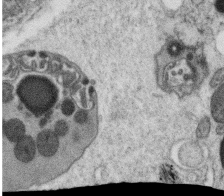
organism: C. elegans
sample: C. elegans oocyte; sperm cells